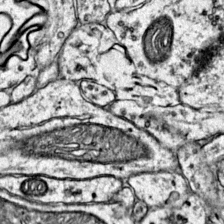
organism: Mouse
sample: Primary visual cortex